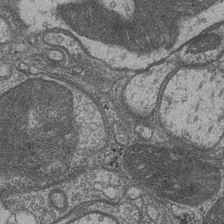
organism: Drosophila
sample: Optic medulla